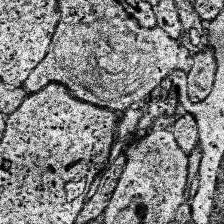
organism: Human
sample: Temporal Lobe